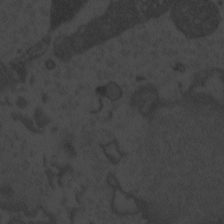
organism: Zebrafish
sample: Macrophage infected with Toxoplasma gondii